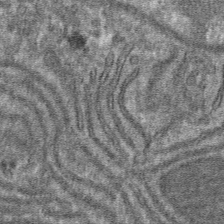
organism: Mouse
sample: Mouse hepatocytes